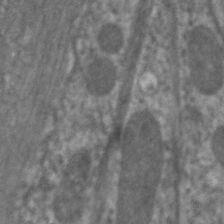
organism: C. elegans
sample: Pharynx